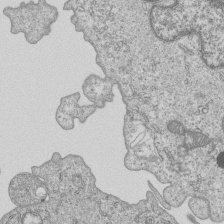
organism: Human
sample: MDA-MB-231 cells